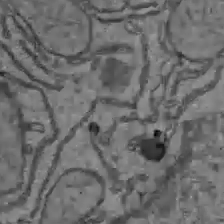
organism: C57BL Mouse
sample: Liver